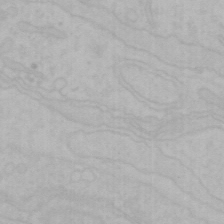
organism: Mouse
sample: Choroid plexus